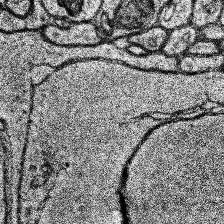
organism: Human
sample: Temporal Lobe